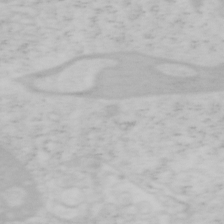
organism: Mouse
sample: OT-I killer T cells with ID8 ovarian cancer cells